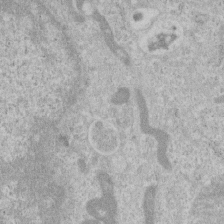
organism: Human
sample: Centriole in RPE cells